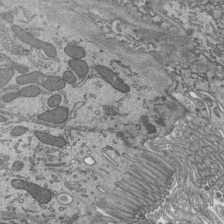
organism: Mouse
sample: Mouse epididymis efferent ductule cilia